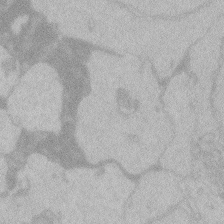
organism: Zebrafish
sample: Macrophage infected with Toxoplasma gondii